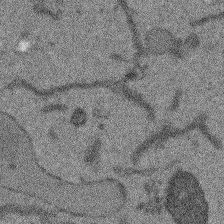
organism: Arabidopsis thaliana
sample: Root tip